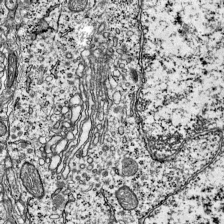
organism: Mouse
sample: Visual Cortex